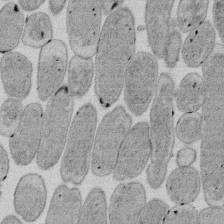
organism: E. coli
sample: Bacterial nucleoid